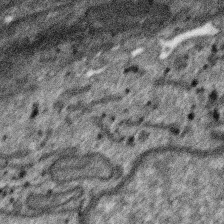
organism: Human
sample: Lung epithelial cells infected with SARS-CoV-2